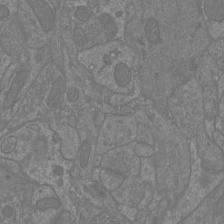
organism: Mouse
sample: Cortical neurons